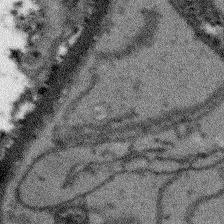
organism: Arabidopsis thaliana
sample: Root tip